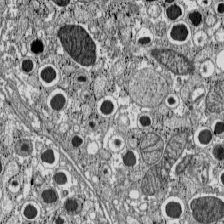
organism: C57BL Mouse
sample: Pancreatic islet